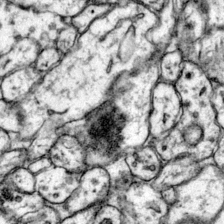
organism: Mouse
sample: Primary visual cortex